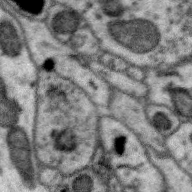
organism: Zebra finch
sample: Brain